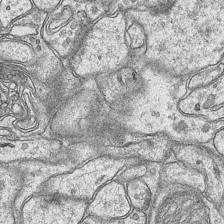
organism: Mouse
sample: CA1 Hippocampus